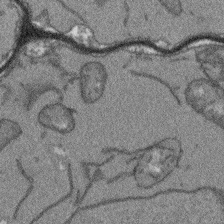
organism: Arabidopsis thaliana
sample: Root tip